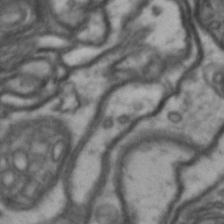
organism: Drosophila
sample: Brain